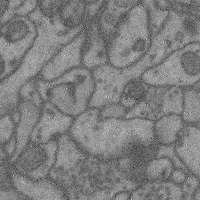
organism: Mouse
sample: Cerebral cortex